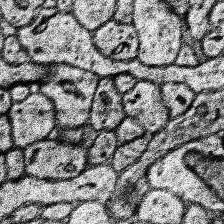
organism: Human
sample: Temporal Lobe